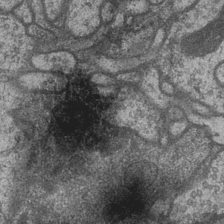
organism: Drosophila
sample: Optic medulla